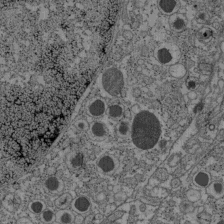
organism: C57BL Mouse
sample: Pancreatic islet